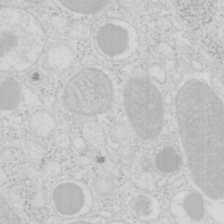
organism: Mouse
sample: Pancreas